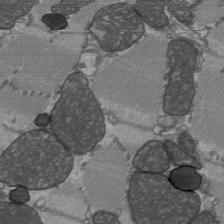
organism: C57BL Mouse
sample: Heart